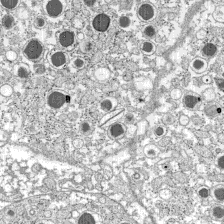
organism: C57BL Mouse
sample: Pancreatic islet